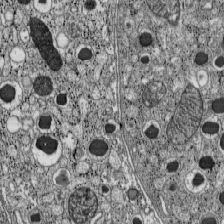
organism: C57BL Mouse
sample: Pancreatic islet